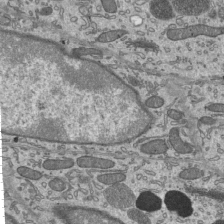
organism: Mouse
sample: Mouse epididymis efferent ductule cilia